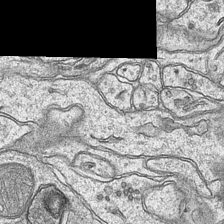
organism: Mouse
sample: CA1 Hippocampus